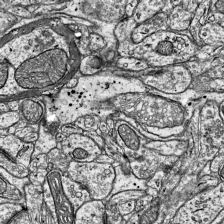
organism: Mouse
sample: Visual Cortex